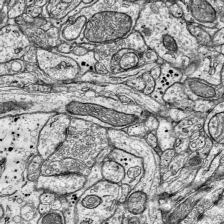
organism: Mouse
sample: Visual Cortex